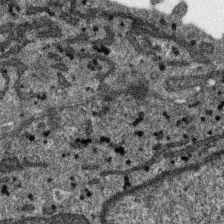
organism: Human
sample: Lung epithelial cells infected with SARS-CoV-2